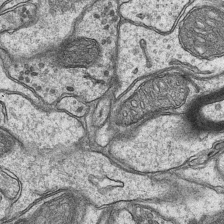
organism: Mouse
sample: CA1 Hippocampus